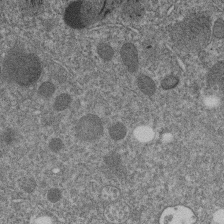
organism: C. elegans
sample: C. elegans embryo early stage